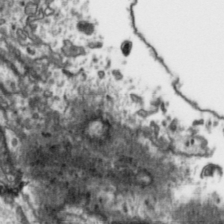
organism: Toxoplasma gondii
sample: Parasites in a vacuole inside a host cell